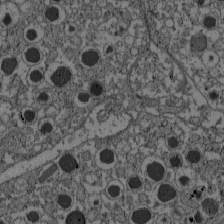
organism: C57BL Mouse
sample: Pancreatic islet